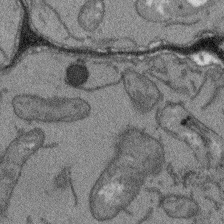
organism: Arabidopsis thaliana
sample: Root tip